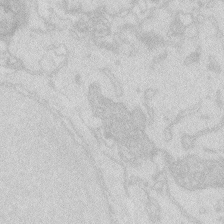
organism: Zebrafish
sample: Macrophage